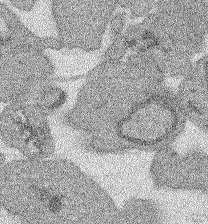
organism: Human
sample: HeLa cells